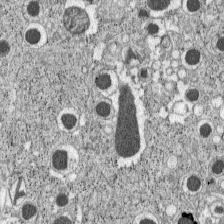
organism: C57BL Mouse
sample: Pancreatic islet